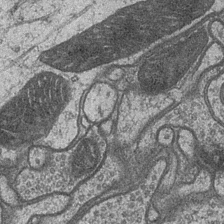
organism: Drosophila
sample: Optic medulla